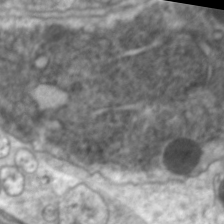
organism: C. elegans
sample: Pharynx